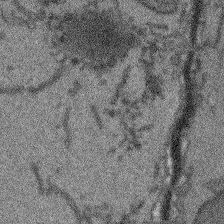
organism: Arabidopsis thaliana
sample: Root tip